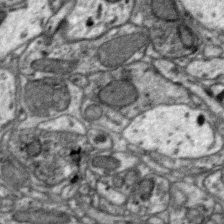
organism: Zebra finch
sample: Brain